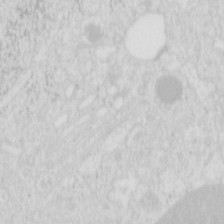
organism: Mouse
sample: Pancreas